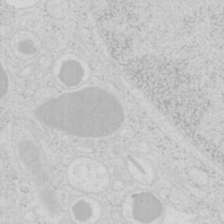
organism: Mouse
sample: Pancreas